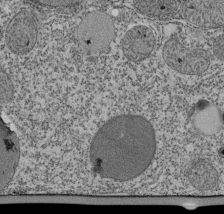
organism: Tetrahymena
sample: Cilia in tetrahymena